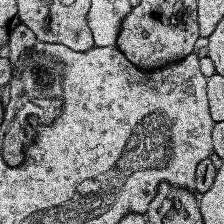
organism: Human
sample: Temporal Lobe